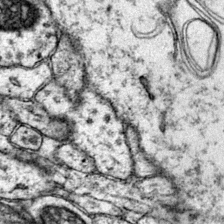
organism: Mouse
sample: Primary visual cortex